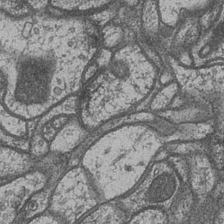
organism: Drosophila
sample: Optic medulla